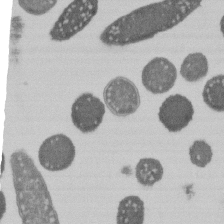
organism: E. coli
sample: Bacterial nucleoid